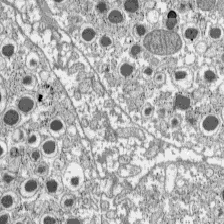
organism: C57BL Mouse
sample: Pancreatic islet